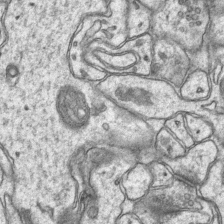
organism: Mouse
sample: CA1 Hippocampus